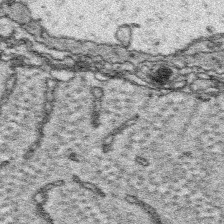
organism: Platynereis dumerilii